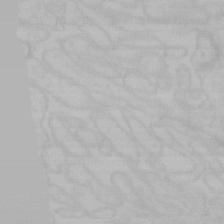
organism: Mouse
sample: Choroid plexus